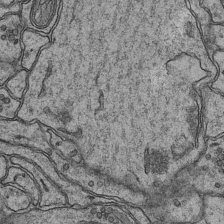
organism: Mouse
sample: CA1 Hippocampus